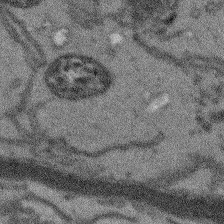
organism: Arabidopsis thaliana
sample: Root tip